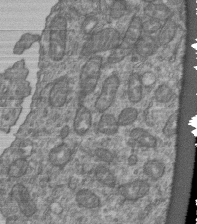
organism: Human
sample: Retinal organoid Rod and Cone cells